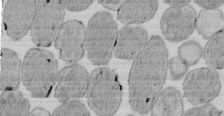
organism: E. coli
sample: Bacterial nucleoid